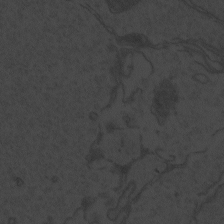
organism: Zebrafish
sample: Macrophage infected with Toxoplasma gondii